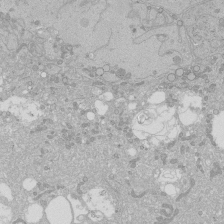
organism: Human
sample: Caco-2 cells